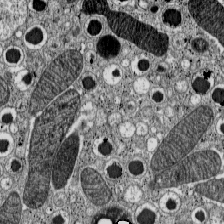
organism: C57BL Mouse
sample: Pancreatic islet